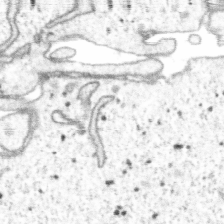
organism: Human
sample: HeLa cells